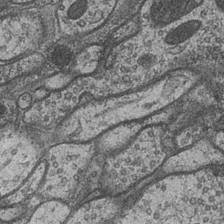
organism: Drosophila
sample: Optic medulla